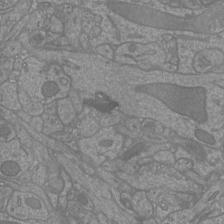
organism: Mouse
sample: Cortical neurons